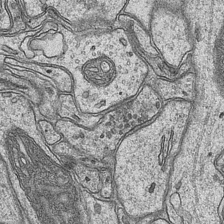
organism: Mouse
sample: CA1 Hippocampus